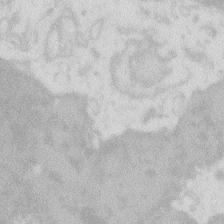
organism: Zebrafish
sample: Macrophage